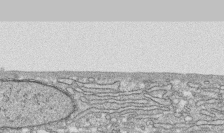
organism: Human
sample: CRL-1474